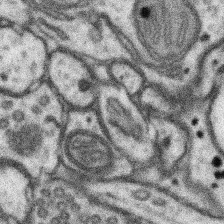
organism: Mouse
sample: Somatosensory cortex neuropil